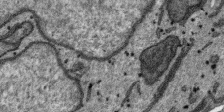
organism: Human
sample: Lung epithelial cells, uninfected (mock) control